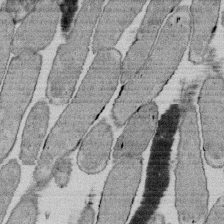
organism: E. coli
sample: Bacterial nucleoid